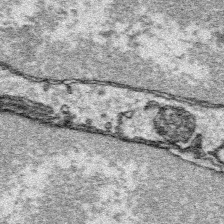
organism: Platynereis dumerilii